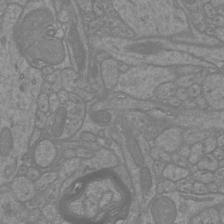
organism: Mouse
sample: Cortical neurons